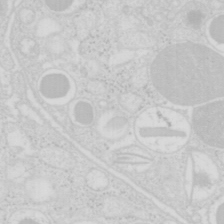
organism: Mouse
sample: Pancreas